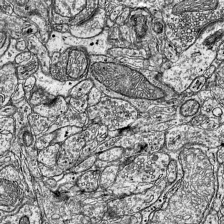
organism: Mouse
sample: Visual Cortex